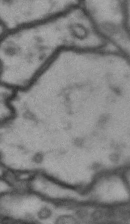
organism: Drosophila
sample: Brain